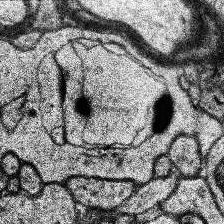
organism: Human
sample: Temporal Lobe